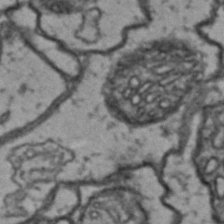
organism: Drosophila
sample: Brain